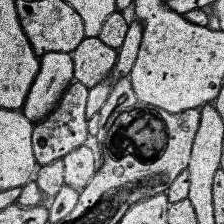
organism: Human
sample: Temporal Lobe